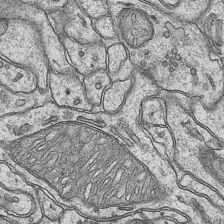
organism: Mouse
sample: CA1 Hippocampus